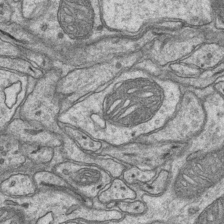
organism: Mouse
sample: CA1 Hippocampus